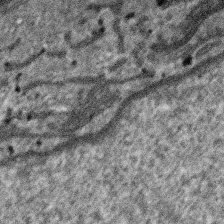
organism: Human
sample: Lung epithelial cells infected with SARS-CoV-2